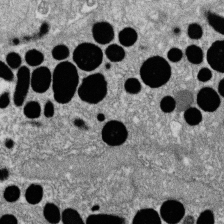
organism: Zebrafish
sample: Cilia; retinal pigment epithelium